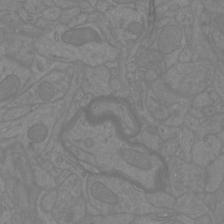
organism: Mouse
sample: Cortical neurons